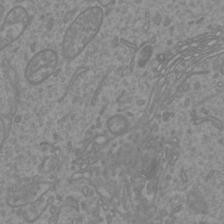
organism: Mouse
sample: Cortical neurons